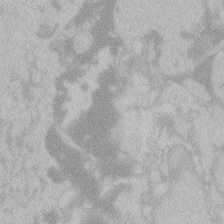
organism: Zebrafish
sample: Macrophage infected with Toxoplasma gondii